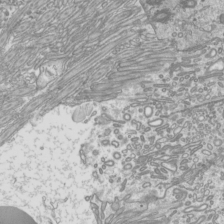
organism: Mouse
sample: Cilia; mouse epididymis